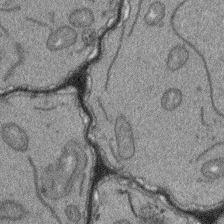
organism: Arabidopsis thaliana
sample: Root tip